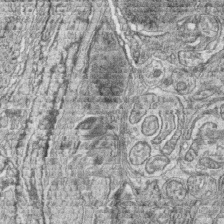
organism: Zebrafish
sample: synaptic ribbons in rod cells and cone cells